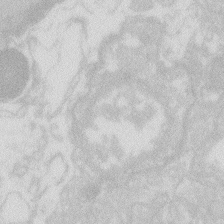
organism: Zebrafish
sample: Macrophage